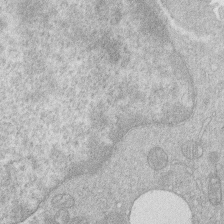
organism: Human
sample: Macrophage cells